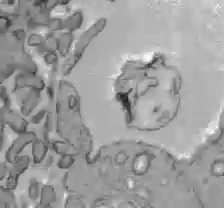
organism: C57BL Mouse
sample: Liver